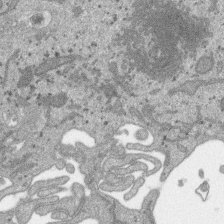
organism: Human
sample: Lung epithelial cells infected with SARS-CoV-2